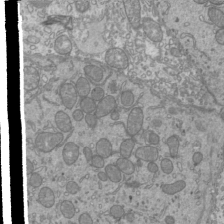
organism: Mouse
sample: Cilia; mouse epididymis